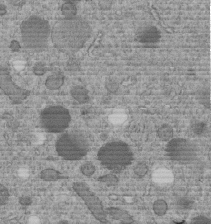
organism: C. elegans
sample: C. elegans embryo early stage